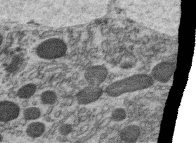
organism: C. elegans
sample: C. elegans oocyte; sperm cells